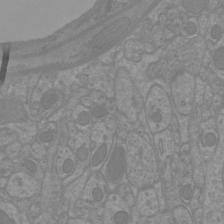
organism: Mouse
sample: Cortical neurons